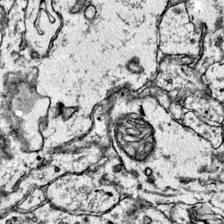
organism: Mouse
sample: Primary visual cortex